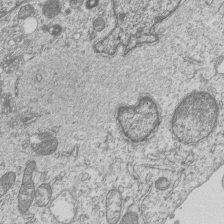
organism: Human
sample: MDA-MB-231 cells